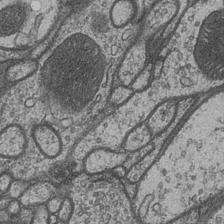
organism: Drosophila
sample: Optic medulla